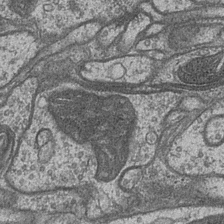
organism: Drosophila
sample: Optic medulla